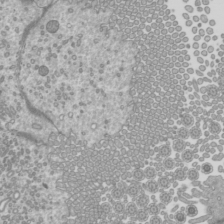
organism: Mouse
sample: Cilia; mouse epididymis